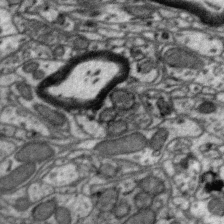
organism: Zebra finch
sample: Brain